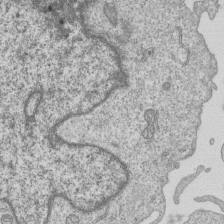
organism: Human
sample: MDA-MB-231 cells